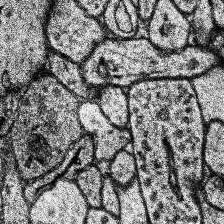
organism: Human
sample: Temporal Lobe